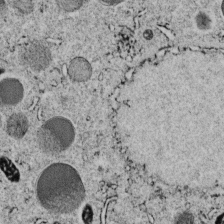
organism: C. elegans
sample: C. elegans embryo early stage